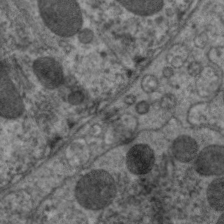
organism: C. elegans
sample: Pharynx